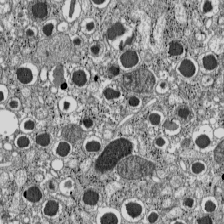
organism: C57BL Mouse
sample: Pancreatic islet